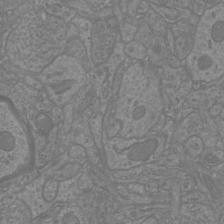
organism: Mouse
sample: Cortical neurons